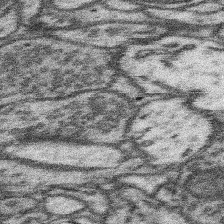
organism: Mouse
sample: Somatosensory cortex neuropil